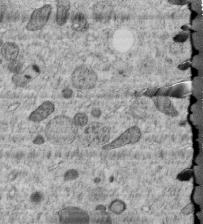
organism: C. elegans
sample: C. elegans embryo early stage